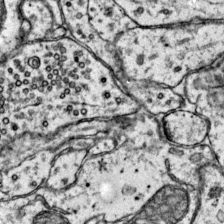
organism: Mouse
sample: Primary visual cortex